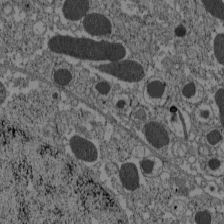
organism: C57BL Mouse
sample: Pancreatic islet